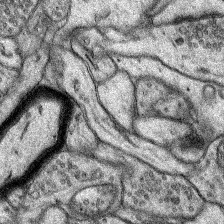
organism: Rat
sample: Hippocampus